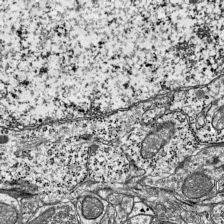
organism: Mouse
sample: Visual Cortex